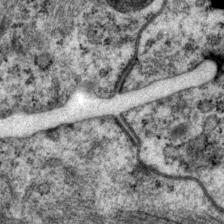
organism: P. pacificus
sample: Pharynx